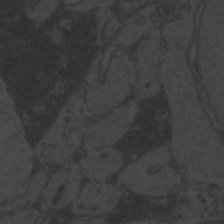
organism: Zebrafish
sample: Macrophage infected with Toxoplasma gondii